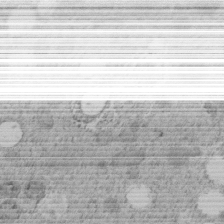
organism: C. elegans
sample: C. elegans embryo early stage